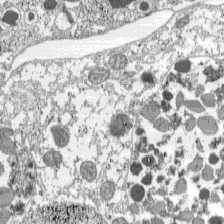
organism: C57BL Mouse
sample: Pancreatic islet